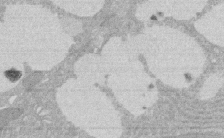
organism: Rat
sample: Salivary granule